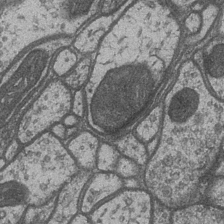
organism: Drosophila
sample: Optic medulla